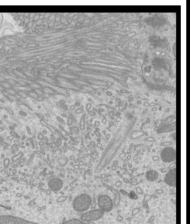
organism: Mouse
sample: Cilia; mouse epididymis